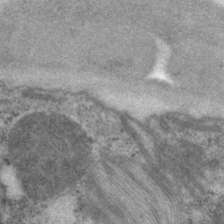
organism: P. pacificus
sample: Pharynx